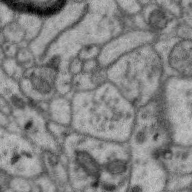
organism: Zebra finch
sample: Brain